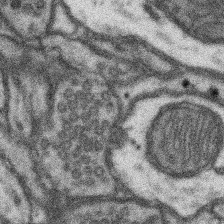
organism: Mouse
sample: Somatosensory cortex neuropil